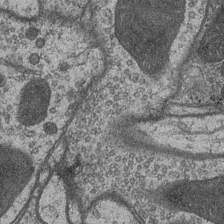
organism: Drosophila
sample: Optic medulla